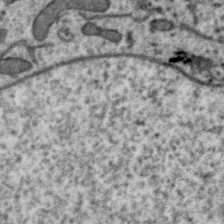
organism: Zebra finch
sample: Brain